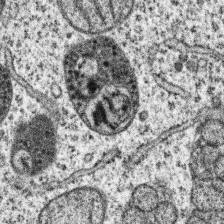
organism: Human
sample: HeLa cells